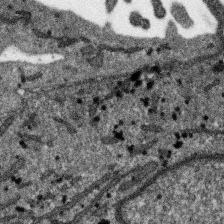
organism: Human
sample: Lung epithelial cells infected with SARS-CoV-2